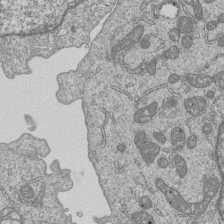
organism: Human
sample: MDA-MB-231 cells